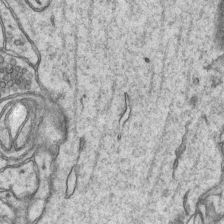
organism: Mouse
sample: CA1 Hippocampus